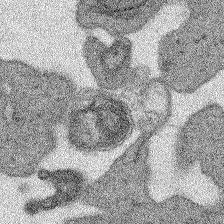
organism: Human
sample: HeLa cells